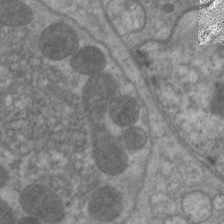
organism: C. elegans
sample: Pharynx